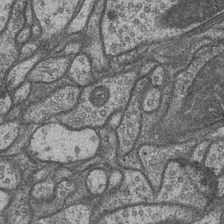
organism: Drosophila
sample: Optic medulla